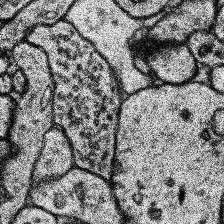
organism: Human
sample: Temporal Lobe